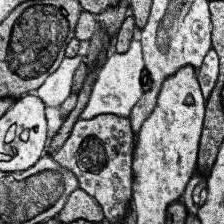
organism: Human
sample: Temporal Lobe